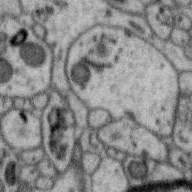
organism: Zebra finch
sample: Brain